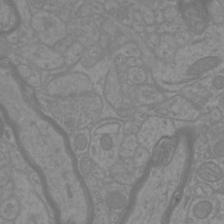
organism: Mouse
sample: Cortical neurons